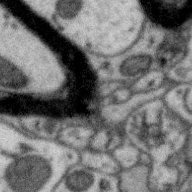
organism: Zebra finch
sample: Brain